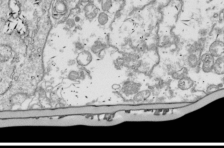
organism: Drosophila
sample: Cell division; meiosis; drosophila spermatocytes